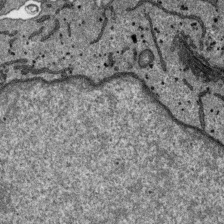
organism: Human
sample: Lung epithelial cells, uninfected (mock) control